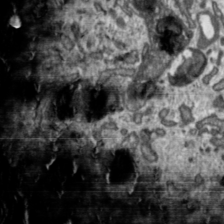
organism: Toxoplasma gondii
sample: Parasites in a vacuole inside a host cell